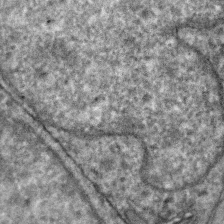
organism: Zebra finch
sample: Brain